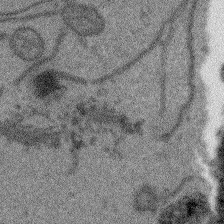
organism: Arabidopsis thaliana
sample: Root tip